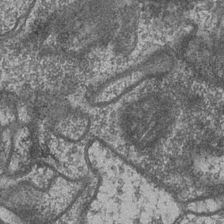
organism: Drosophila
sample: Optic medulla